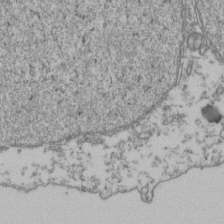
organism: Human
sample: Activated Jurkat CD4+ T cells